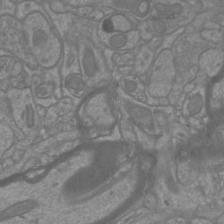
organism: Mouse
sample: Cortical neurons